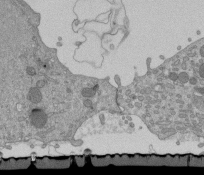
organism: Mouse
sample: ED-1 cell nuclei; centrioles